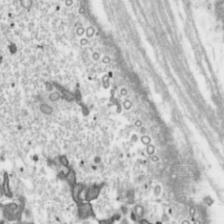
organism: Toxoplasma gondii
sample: Parasites in a vacuole inside a host cell